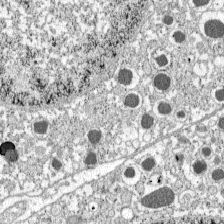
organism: C57BL Mouse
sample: Pancreatic islet